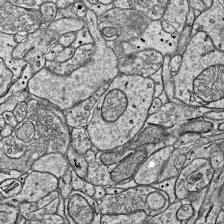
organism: Mouse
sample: Visual Cortex